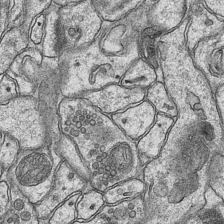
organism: Mouse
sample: CA1 Hippocampus